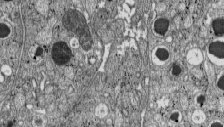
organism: C57BL Mouse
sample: Pancreatic islet